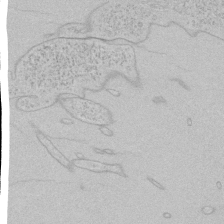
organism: Human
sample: Mitochondria in HCT116 cells